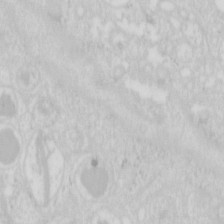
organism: Mouse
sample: Pancreas